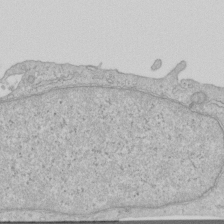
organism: Human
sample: Centriole in RPE cells